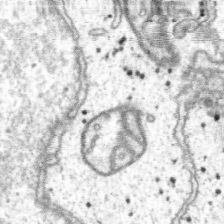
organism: Human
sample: HeLa cells